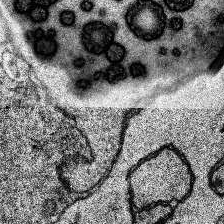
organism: Human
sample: Temporal Lobe